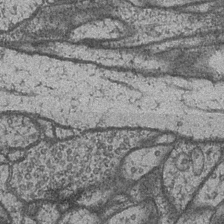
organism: Drosophila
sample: Optic medulla